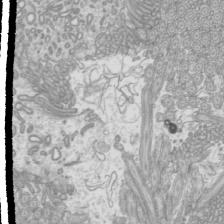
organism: Mouse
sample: Cilia; mouse epididymis